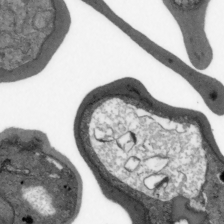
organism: Plasmodium falciparum